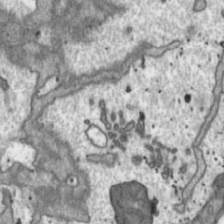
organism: Toxoplasma gondii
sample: Parasites in a vacuole inside a host cell